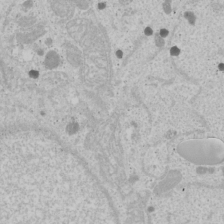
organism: Human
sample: Mitochondria in U2OS cells